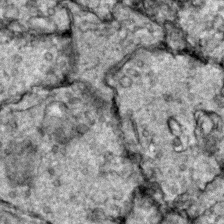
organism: Zebrafish